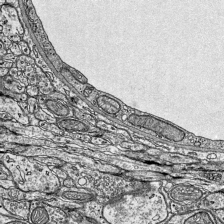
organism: Mouse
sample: Visual Cortex